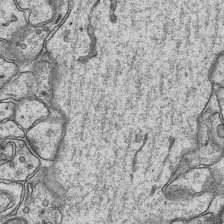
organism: Mouse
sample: CA1 Hippocampus